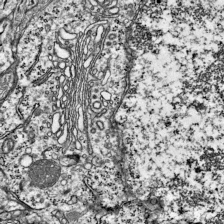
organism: Mouse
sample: Visual Cortex